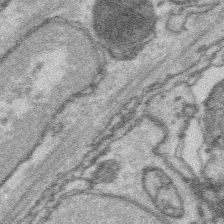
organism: Platynereis dumerilii